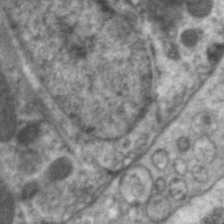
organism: C. elegans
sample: Pharynx